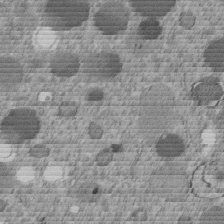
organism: C. elegans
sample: C. elegans embryo early stage